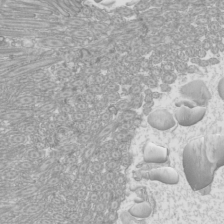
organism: Mouse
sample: Cilia; mouse epididymis